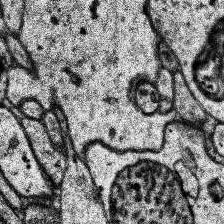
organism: Human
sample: Temporal Lobe